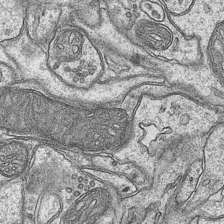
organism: Mouse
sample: CA1 Hippocampus